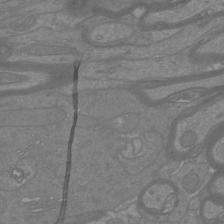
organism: Mouse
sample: Cortical neurons